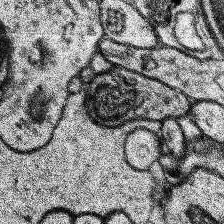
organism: Human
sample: Temporal Lobe